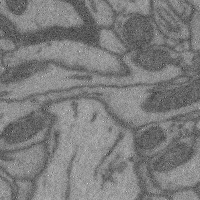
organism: Mouse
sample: Cerebral cortex